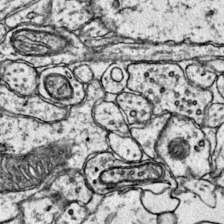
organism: Mouse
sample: Primary visual cortex